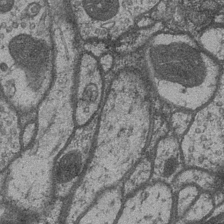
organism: Drosophila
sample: Optic medulla